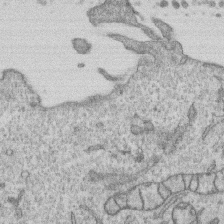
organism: Human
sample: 1205lu cells